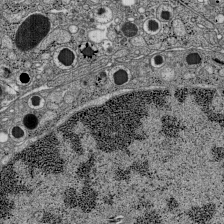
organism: C57BL Mouse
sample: Pancreatic islet